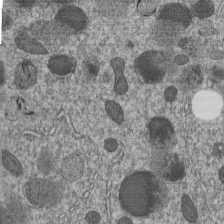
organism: C. elegans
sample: C. elegans embryo early stage